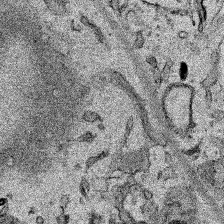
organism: Human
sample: Mitochondria in HCT116 cells